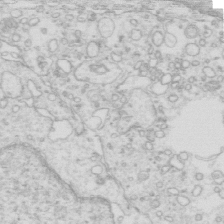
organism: Mouse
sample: Multiciliated cells